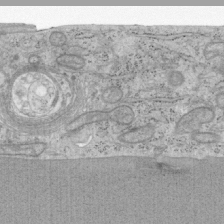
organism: Human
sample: HeLa cells